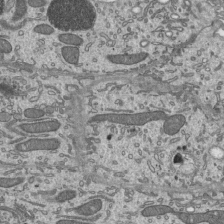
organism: Mouse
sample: Mouse epididymis efferent ductule cilia